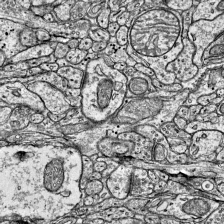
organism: Mouse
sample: Visual Cortex